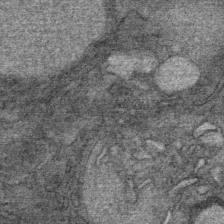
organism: Mouse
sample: Mouse Salivary gland